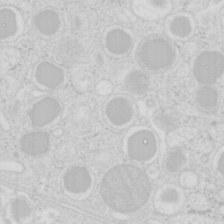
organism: Mouse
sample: Pancreas